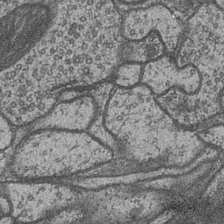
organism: Drosophila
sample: Optic medulla